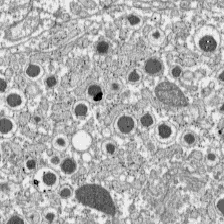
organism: C57BL Mouse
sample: Pancreatic islet